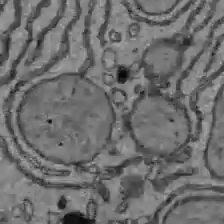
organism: C57BL Mouse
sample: Liver